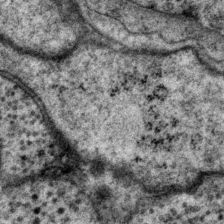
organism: P. pacificus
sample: Pharynx